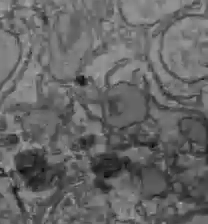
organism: C57BL Mouse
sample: Liver